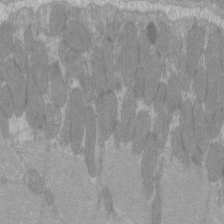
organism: C57BL Mouse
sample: Tibialis anterior muscle cell